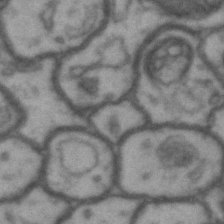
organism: Drosophila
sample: Brain